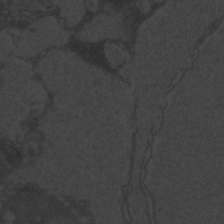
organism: Zebrafish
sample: Macrophage infected with Toxoplasma gondii